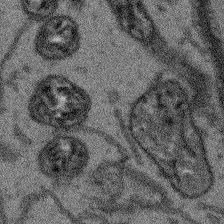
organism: Arabidopsis thaliana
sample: Root tip